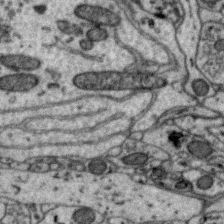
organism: Zebra finch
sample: Brain